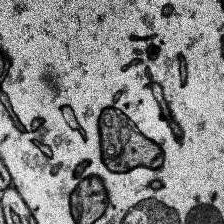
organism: Human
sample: Temporal Lobe